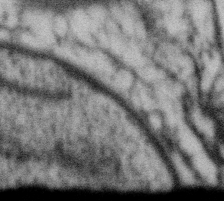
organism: Gemmata obscuriglobus